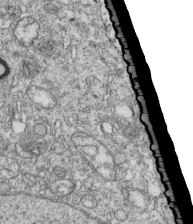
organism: Human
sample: HeLa cell HIV synapse